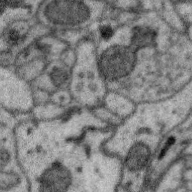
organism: Zebra finch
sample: Brain